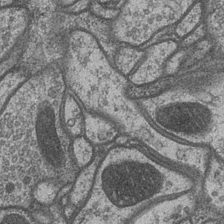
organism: Drosophila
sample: Optic medulla